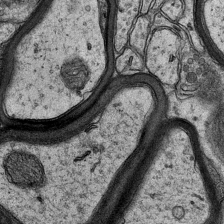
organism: Mouse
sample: CA1 Hippocampus